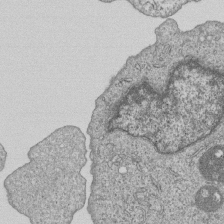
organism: Human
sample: MDA-MB-231 cells